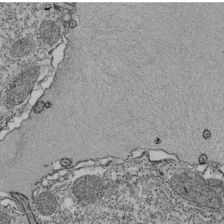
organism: Tetrahymena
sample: Cilia in tetrahymena